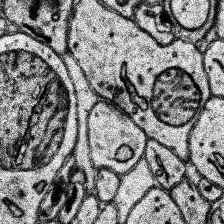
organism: Human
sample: Temporal Lobe